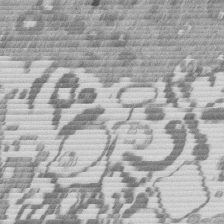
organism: Mouse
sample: Dividing mouse embryo 1 cell stage